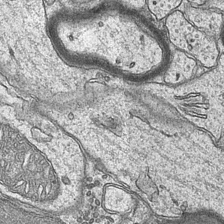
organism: Mouse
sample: CA1 Hippocampus